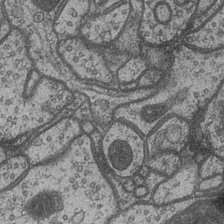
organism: Drosophila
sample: Optic medulla